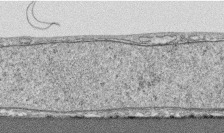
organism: Human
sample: CRL-1474